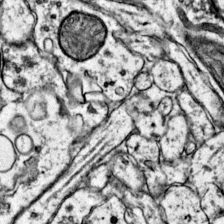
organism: Mouse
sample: Primary visual cortex